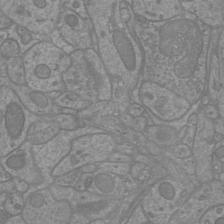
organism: Mouse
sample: Cortical neurons